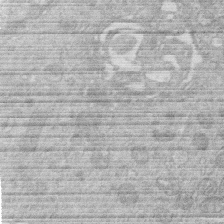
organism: Human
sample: Macrophage cells